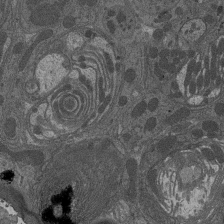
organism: Drosophila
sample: Antenna